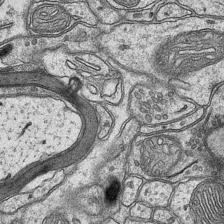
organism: Mouse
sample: CA1 Hippocampus